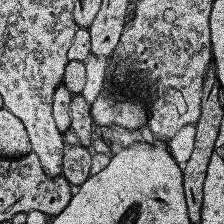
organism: Human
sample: Temporal Lobe